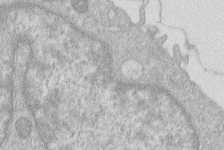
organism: Human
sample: Macrophage cells